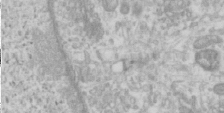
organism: Human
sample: Cilia; basal body in RPE cells